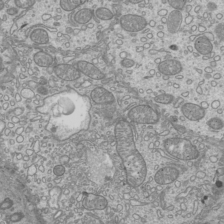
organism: Mouse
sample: Cilia; mouse epididymis